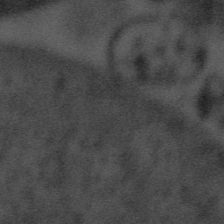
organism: Tuwongella immobilis